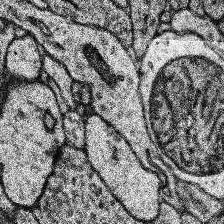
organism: Human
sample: Temporal Lobe